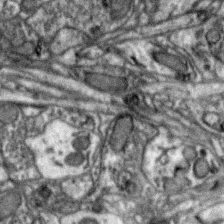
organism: Zebra finch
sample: Brain